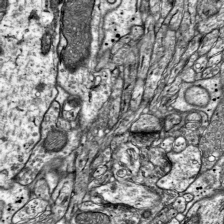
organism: Mouse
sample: Visual Cortex